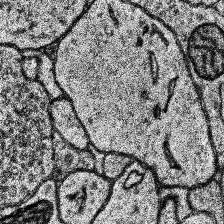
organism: Human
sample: Temporal Lobe